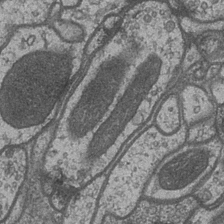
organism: Drosophila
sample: Optic medulla